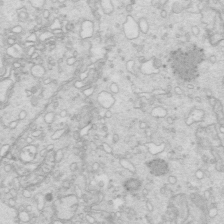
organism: Mouse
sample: Multiciliated cells